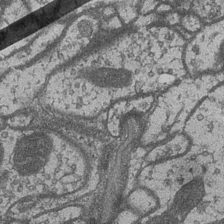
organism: Drosophila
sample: Optic medulla